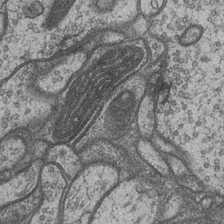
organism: Drosophila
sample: Optic medulla